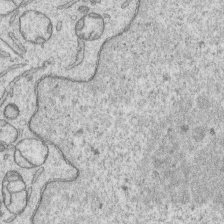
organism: Human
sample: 1205lu cells